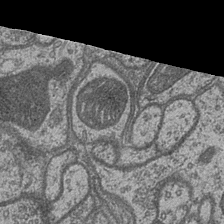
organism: Drosophila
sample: Optic medulla